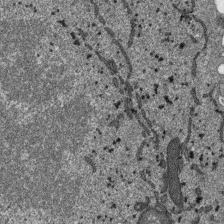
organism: Human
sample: Lung epithelial cells infected with SARS-CoV-2